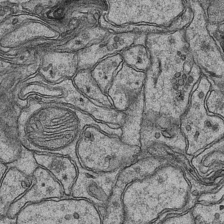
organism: Mouse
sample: CA1 Hippocampus